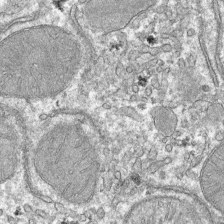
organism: Mouse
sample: Mouse hepatocytes